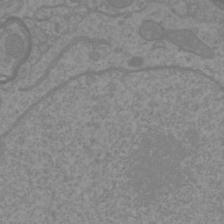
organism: Mouse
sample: Cortical neurons